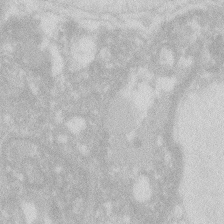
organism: Zebrafish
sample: Macrophage